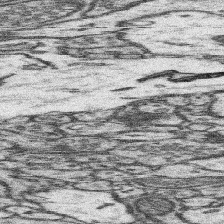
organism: Mouse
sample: Somatosensory cortex neuropil